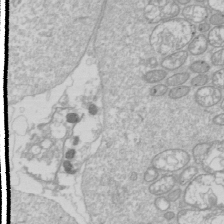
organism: Drosophila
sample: Cell division; meiosis; drosophila spermatocytes